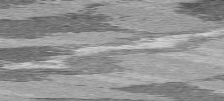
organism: C57BL Mouse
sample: Heart